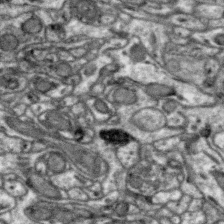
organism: Zebra finch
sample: Brain